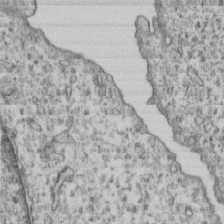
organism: Human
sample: MDA-MB-231 cells